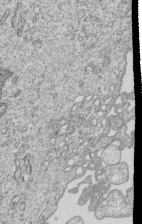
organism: Human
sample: MDA-MB-231 cells